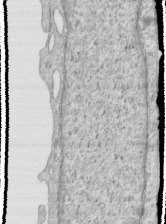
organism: Human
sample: Centriole in RPE cells